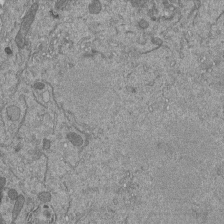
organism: Mouse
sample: ED-1 cell nuclei; centrioles